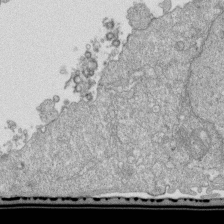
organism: Human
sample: HeLa cell HIV synapse